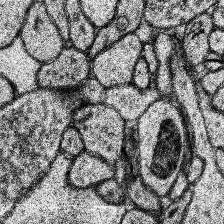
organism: Human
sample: Temporal Lobe